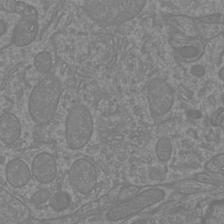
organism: Mouse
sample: Cortical neurons